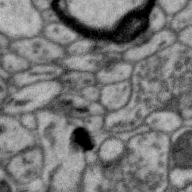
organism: Zebra finch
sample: Brain